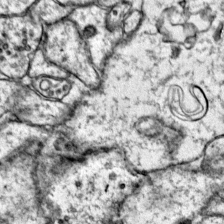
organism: Mouse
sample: Primary visual cortex